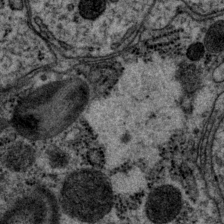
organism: P. pacificus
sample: Pharynx